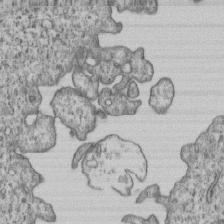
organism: Human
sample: MDA-MB-231 cells